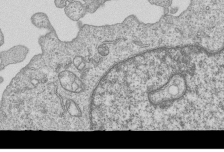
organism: Human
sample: MDA-MB-231 cells